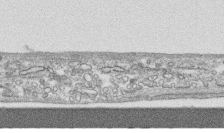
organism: Human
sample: CRL-1474